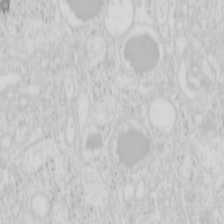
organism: Mouse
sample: Pancreas